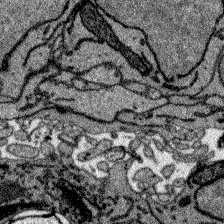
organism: Zebrafish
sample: Larval olfactory bulb